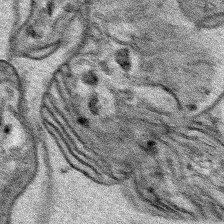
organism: Human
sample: Mitochondria in HCT116 cells